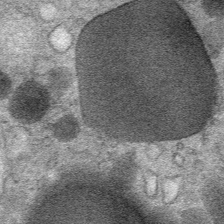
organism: Mouse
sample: Mouse Salivary gland